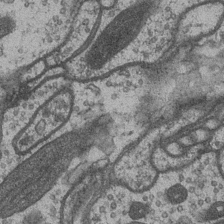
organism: Drosophila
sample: Optic medulla